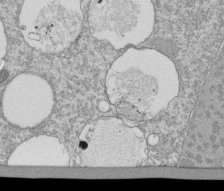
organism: Tetrahymena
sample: Cilia in tetrahymena